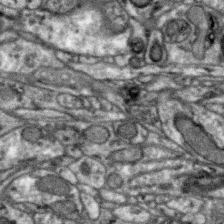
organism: Zebra finch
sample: Brain